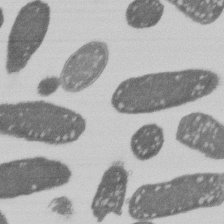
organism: E. coli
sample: Bacterial nucleoid